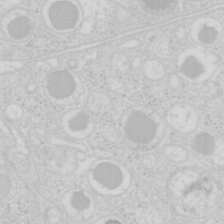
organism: Mouse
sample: Pancreas